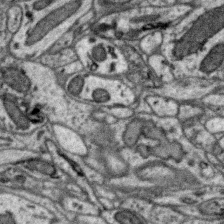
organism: Zebra finch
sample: Brain